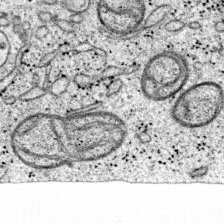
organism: Human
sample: HeLa cells